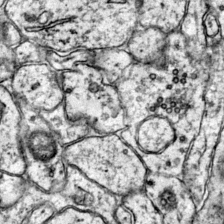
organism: Mouse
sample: Primary visual cortex